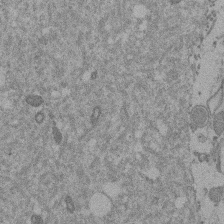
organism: Mouse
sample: Dividing mouse embryo 1 cell stage